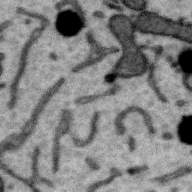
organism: Zebra finch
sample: Brain